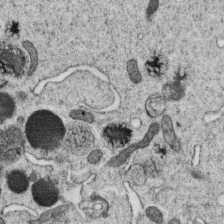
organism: C. elegans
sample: C. elegans oocyte; sperm cells